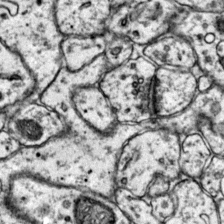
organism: Mouse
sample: Primary visual cortex